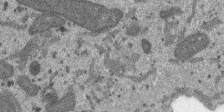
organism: Human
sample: Lung epithelial cells infected with SARS-CoV-2